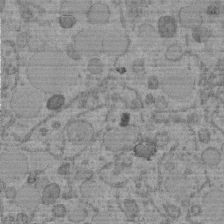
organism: C. elegans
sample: C. elegans embryo early stage